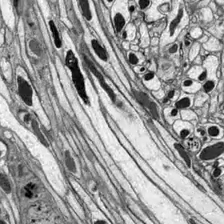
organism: Drosophila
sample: Optic lobe